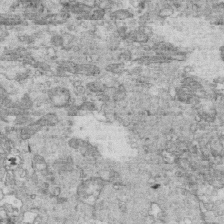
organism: Mouse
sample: Multiciliated cells